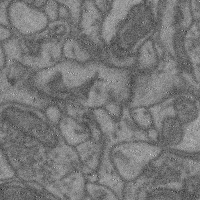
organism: Mouse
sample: Cerebral cortex